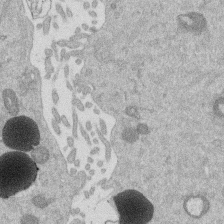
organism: Mouse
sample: Dividing mouse embryo 1 cell stage